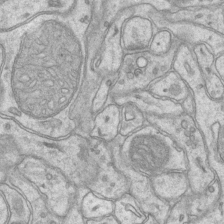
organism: Mouse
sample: CA1 Hippocampus